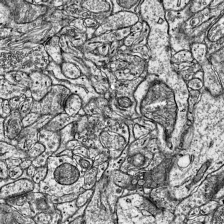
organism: Mouse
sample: Visual Cortex